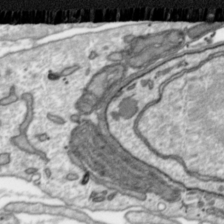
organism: Toxoplasma gondii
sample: Parasites in a vacuole inside a host cell